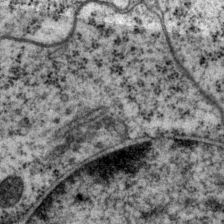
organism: P. pacificus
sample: Pharynx